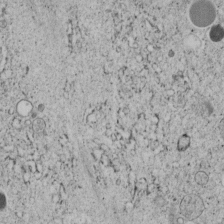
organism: C. elegans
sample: C. elegans embryo early stage